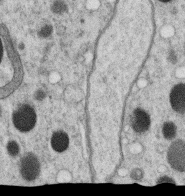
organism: C. elegans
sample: C. elegans oocyte; sperm cells